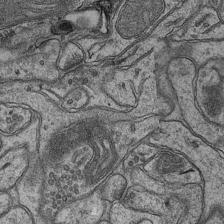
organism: Mouse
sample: CA1 Hippocampus